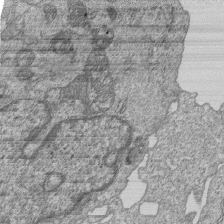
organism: Human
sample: MDA-MB-231 cells